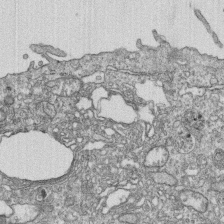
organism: Human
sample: HeLa cell HIV synapse